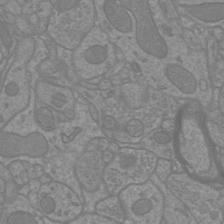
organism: Mouse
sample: Cortical neurons